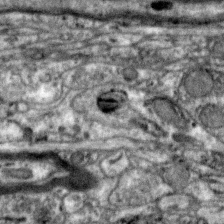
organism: Zebra finch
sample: Brain